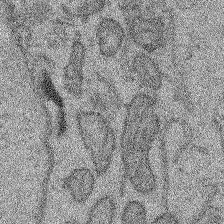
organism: Human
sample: HeLa cells